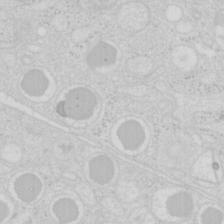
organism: Mouse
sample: Pancreas